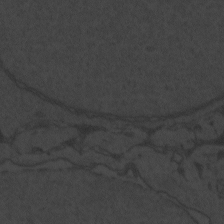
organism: Zebrafish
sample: Macrophage infected with Toxoplasma gondii